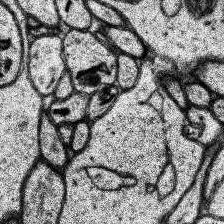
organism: Human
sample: Temporal Lobe